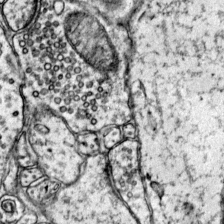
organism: Mouse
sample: Primary visual cortex